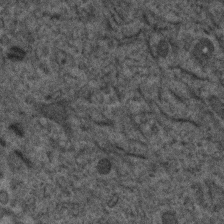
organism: Human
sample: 1205lu cells